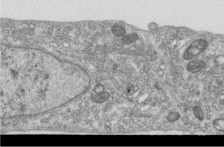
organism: Human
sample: Centriole in RPE cells